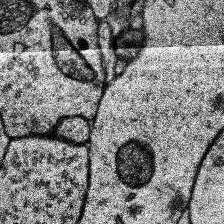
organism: Human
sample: Temporal Lobe